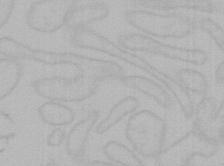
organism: Mouse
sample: Choroid plexus